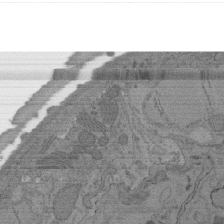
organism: C. elegans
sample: AFD neurons C. elegans